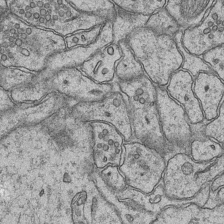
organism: Mouse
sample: CA1 Hippocampus